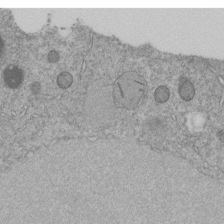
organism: C. elegans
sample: C. elegans embryo early stage